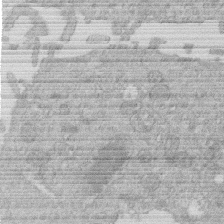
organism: Human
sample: Macrophage cells